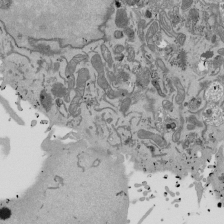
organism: Mouse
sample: ED-1 cell nuclei; centrioles